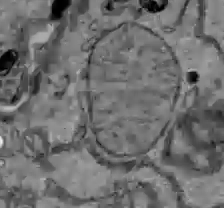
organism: C57BL Mouse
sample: Liver